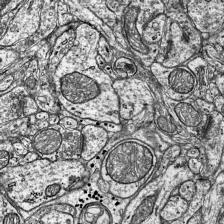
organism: Mouse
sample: Visual Cortex